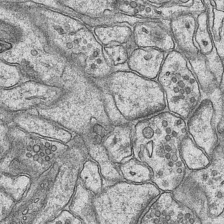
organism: Mouse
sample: CA1 Hippocampus